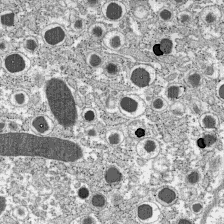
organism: C57BL Mouse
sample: Pancreatic islet